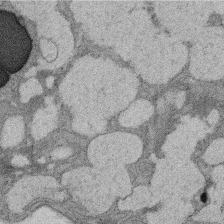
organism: Rat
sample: Salivary granule